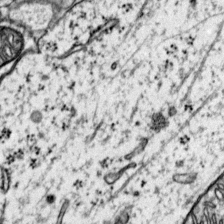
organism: Mouse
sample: Primary visual cortex